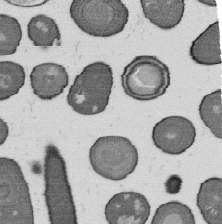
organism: B. subtilis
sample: Bacterial spore